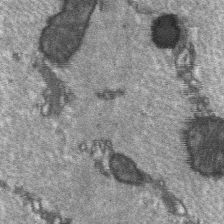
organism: C57BL Mouse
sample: Soleus